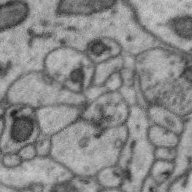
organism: Zebra finch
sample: Brain